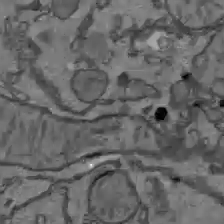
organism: C57BL Mouse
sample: Liver